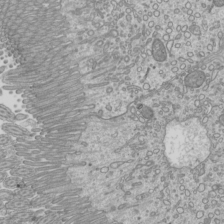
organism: Mouse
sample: Cilia; mouse epididymis